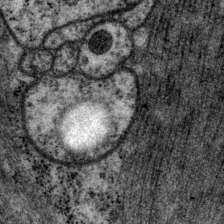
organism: P. pacificus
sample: Pharynx